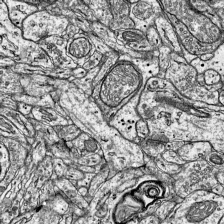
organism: Mouse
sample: Visual Cortex